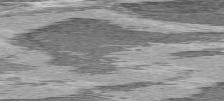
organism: C57BL Mouse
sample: Heart